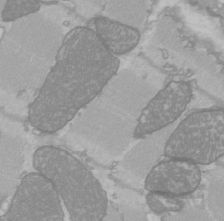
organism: C57BL Mouse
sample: Heart